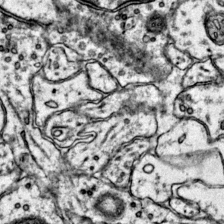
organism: Mouse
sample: Primary visual cortex